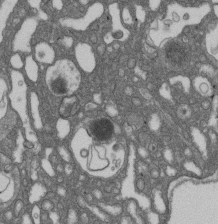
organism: Drosophila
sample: Nephrocyte